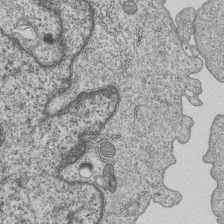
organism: Human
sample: MDA-MB-231 cells